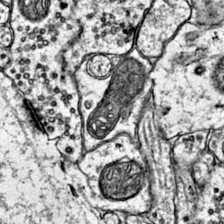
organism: Mouse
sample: Primary visual cortex